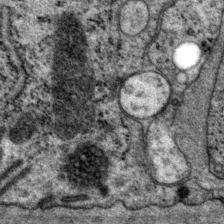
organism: P. pacificus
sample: Pharynx